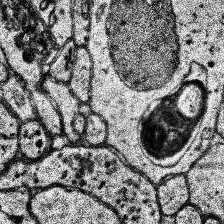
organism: Human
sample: Temporal Lobe